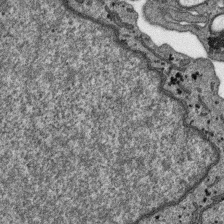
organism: Human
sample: Lung epithelial cells infected with SARS-CoV-2